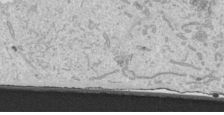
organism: Human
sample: Mitochondria in HCT116 cells